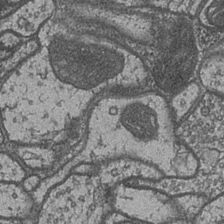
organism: Drosophila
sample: Optic medulla